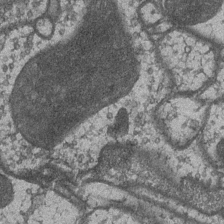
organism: Drosophila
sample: Optic medulla